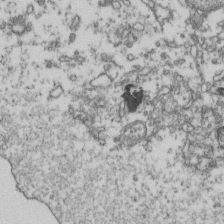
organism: Human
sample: Activated Jurkat CD4+ T cells